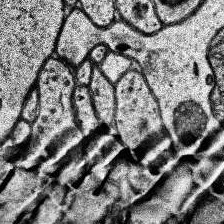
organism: Human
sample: Temporal Lobe